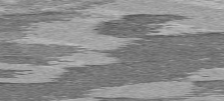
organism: C57BL Mouse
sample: Heart